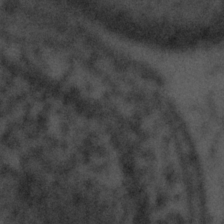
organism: Tuwongella immobilis